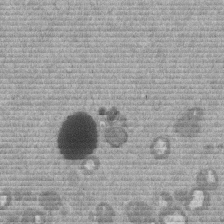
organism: Mouse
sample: Dividing mouse embryo 1 cell stage